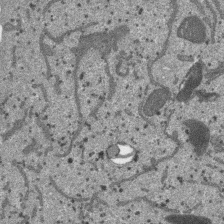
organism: Human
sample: Lung epithelial cells infected with SARS-CoV-2